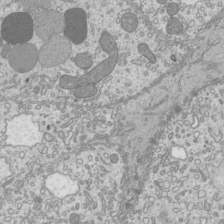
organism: Mouse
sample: Cilia; mouse epididymis